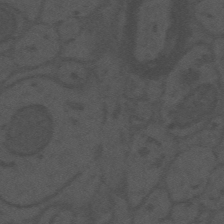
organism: Mouse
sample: Suprachiasmatic nucleus